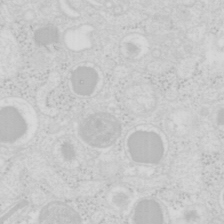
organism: Mouse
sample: Pancreas